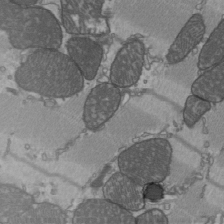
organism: C57BL Mouse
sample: Heart